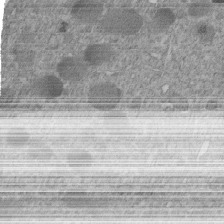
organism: C. elegans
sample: C. elegans embryo early stage